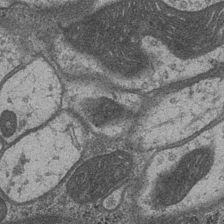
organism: Drosophila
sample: Optic medulla